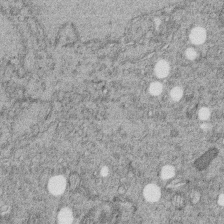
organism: C. elegans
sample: C. elegans embryo early stage